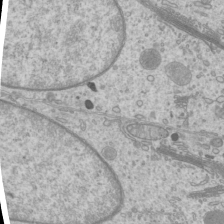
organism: Mouse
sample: Cilia; mouse epididymis